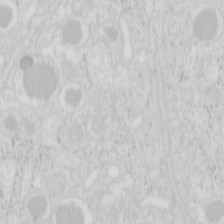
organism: Mouse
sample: Pancreas